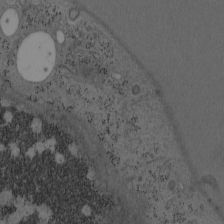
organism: Mouse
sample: OT-I killer T cells with ID8 ovarian cancer cells